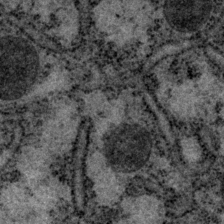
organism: P. pacificus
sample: Pharynx